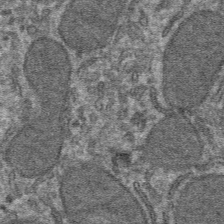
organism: Mouse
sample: Mouse hepatocytes